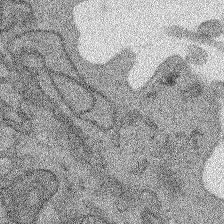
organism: Human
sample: HeLa cells